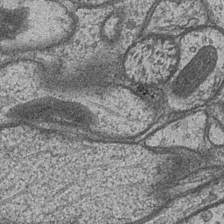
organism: Drosophila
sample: Optic medulla